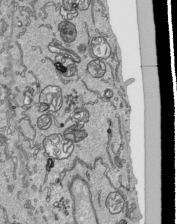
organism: Human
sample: Mitochondria in HCT116 cells